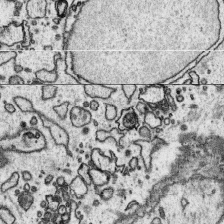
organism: Platynereis dumerilii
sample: Parapodia